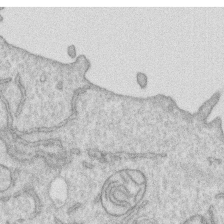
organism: Human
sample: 1205lu cells